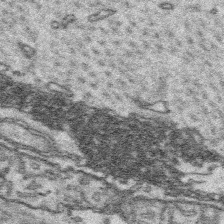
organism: Platynereis dumerilii